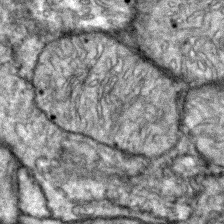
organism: Zebrafish